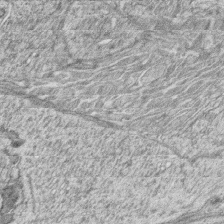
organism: Zebrafish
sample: synaptic ribbons in rod cells and cone cells